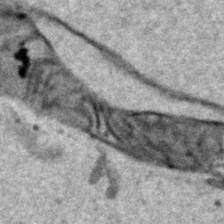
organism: Human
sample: Mitochondria in HCT116 cells